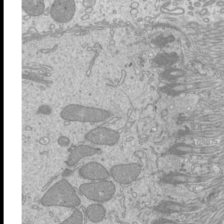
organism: Mouse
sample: Cilia; mouse epididymis